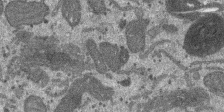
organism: Human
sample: Lung epithelial cells infected with SARS-CoV-2